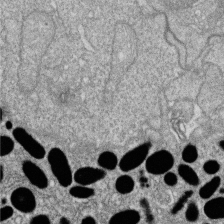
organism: Zebrafish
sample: Cilia; retinal pigment epithelium